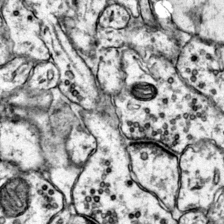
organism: Mouse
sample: Primary visual cortex